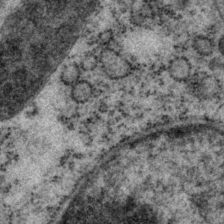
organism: P. pacificus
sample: Pharynx